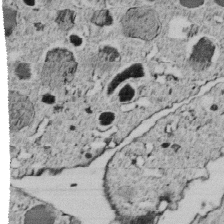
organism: C. elegans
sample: C. elegans embryo early stage